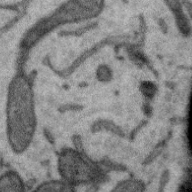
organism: Zebra finch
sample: Brain